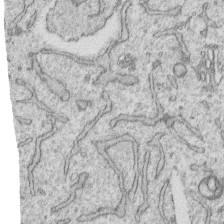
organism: Human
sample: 1205lu cells